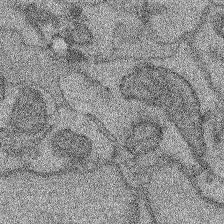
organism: Human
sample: HeLa cells